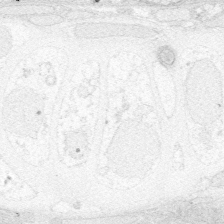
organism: Zebrafish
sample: Whole-Brain